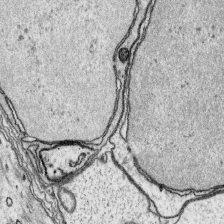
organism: Platynereis dumerilii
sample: Parapodia